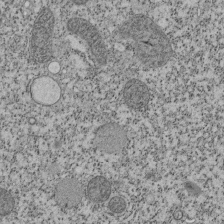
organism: Tetrahymena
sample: Cilia in tetrahymena